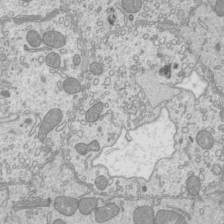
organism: Mouse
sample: Cilia; mouse epididymis